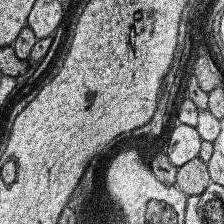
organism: Human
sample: Temporal Lobe